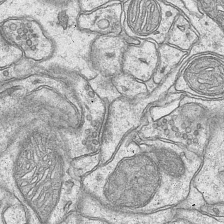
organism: Mouse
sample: CA1 Hippocampus